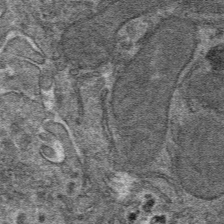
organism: Mouse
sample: Mouse hepatocytes